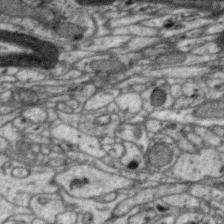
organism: Zebra finch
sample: Brain